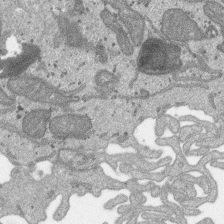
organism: Human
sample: Lung epithelial cells infected with SARS-CoV-2